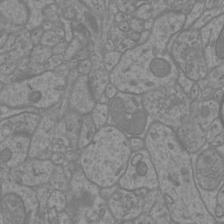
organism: Mouse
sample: Cortical neurons